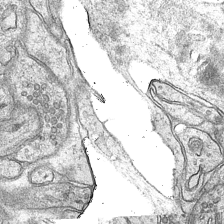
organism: Mouse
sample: CA1 Hippocampus